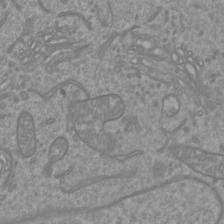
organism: Mouse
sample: Cortical neurons